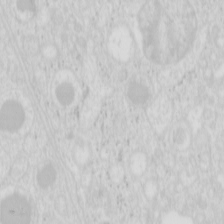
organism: Mouse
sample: Pancreas